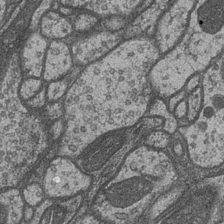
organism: Drosophila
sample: Optic medulla